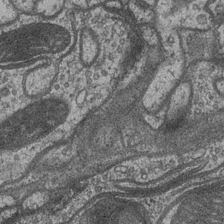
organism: Drosophila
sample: Optic medulla